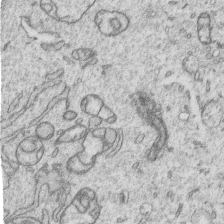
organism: Human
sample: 1205lu cells